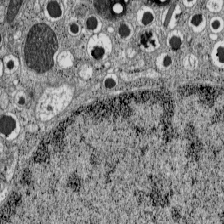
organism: C57BL Mouse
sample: Pancreatic islet